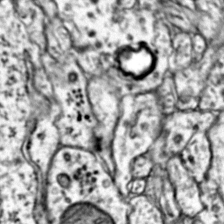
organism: Mouse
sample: Primary visual cortex